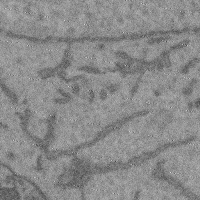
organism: Mouse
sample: Cerebral cortex